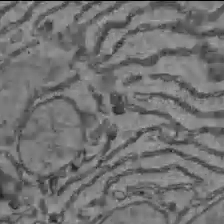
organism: C57BL Mouse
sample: Liver